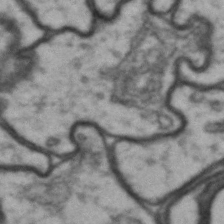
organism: Drosophila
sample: Brain